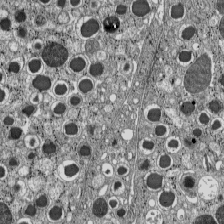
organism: C57BL Mouse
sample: Pancreatic islet